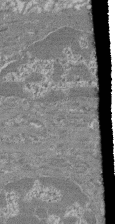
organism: Mouse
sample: Glomerulus